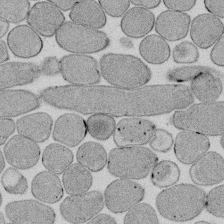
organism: E. coli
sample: Bacterial nucleoid